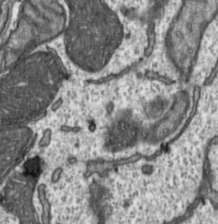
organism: Toxoplasma gondii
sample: Parasites in a vacuole inside a host cell